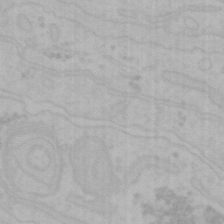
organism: Mouse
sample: Choroid plexus